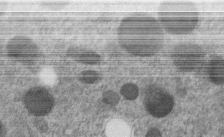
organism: C. elegans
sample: C. elegans embryo early stage